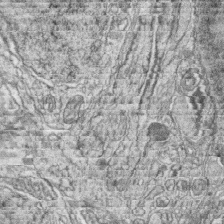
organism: Zebrafish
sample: synaptic ribbons in rod cells and cone cells